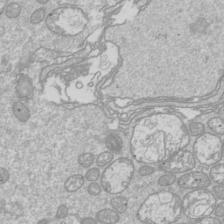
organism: Drosophila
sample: Cell division; meiosis; drosophila spermatocytes